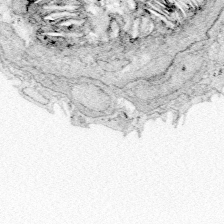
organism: Zebrafish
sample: Whole-Brain